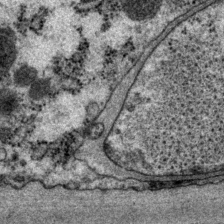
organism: P. pacificus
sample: Pharynx